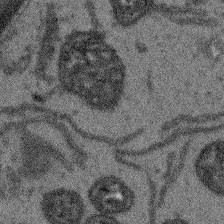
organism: Arabidopsis thaliana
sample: Root tip